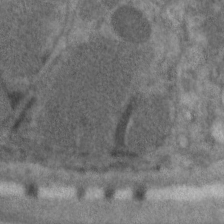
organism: C. elegans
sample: Pharynx